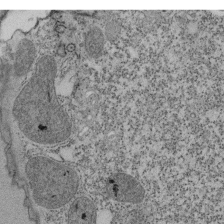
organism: Tetrahymena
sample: Cilia in tetrahymena